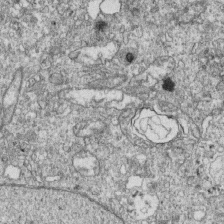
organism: Human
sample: HeLa cell HIV synapse